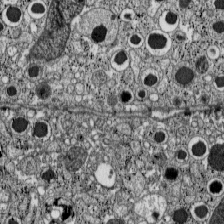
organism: C57BL Mouse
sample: Pancreatic islet